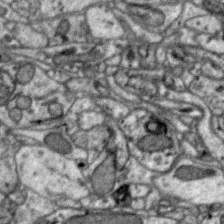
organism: Zebra finch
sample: Brain